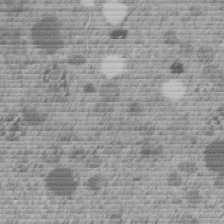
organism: C. elegans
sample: C. elegans embryo early stage